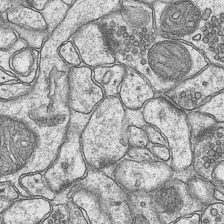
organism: Mouse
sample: CA1 Hippocampus